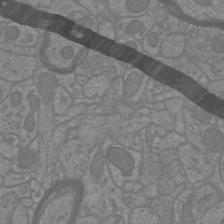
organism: Mouse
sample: Cortical neurons